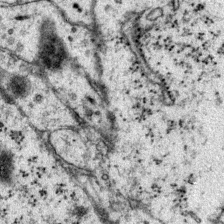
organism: Mouse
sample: Primary visual cortex